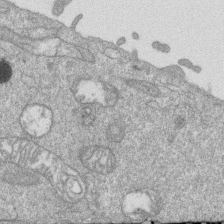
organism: Human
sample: HeLa cell HIV synapse